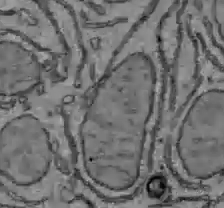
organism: C57BL Mouse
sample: Liver